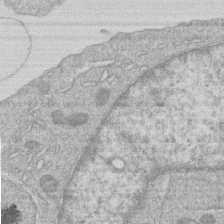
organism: Human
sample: Macrophage cells